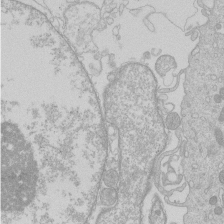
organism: Human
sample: Macrophage cells